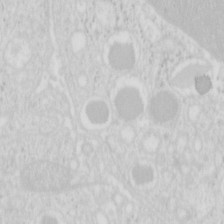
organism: Mouse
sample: Pancreas